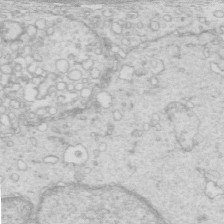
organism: Mouse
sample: Multiciliated cells